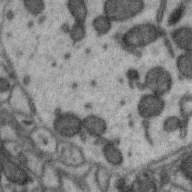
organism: Zebra finch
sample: Brain